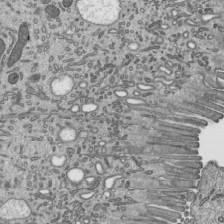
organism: Mouse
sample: Mouse epididymis efferent ductule cilia